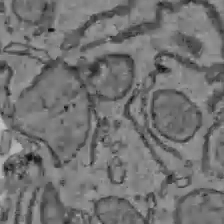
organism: C57BL Mouse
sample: Liver